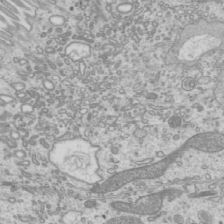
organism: Mouse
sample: Cilia; mouse epididymis